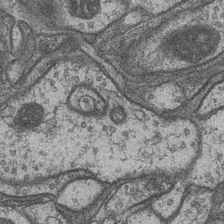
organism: Drosophila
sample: Optic medulla